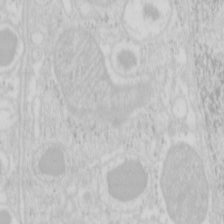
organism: Mouse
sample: Pancreas